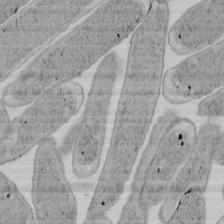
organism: E. coli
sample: Bacterial nucleoid